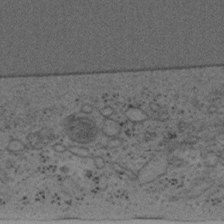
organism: Human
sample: HeLa cells